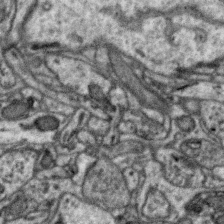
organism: Zebra finch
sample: Brain